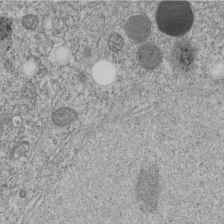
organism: C. elegans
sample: C. elegans embryo early stage